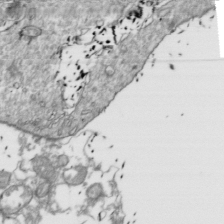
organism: Drosophila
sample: Cell division; meiosis; drosophila spermatocytes